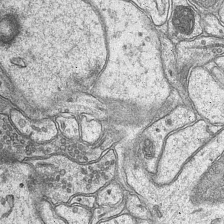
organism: Mouse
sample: CA1 Hippocampus